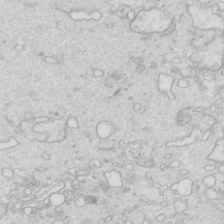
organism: Mouse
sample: Multiciliated cells